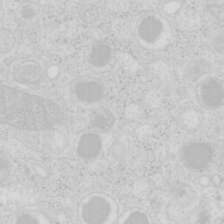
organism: Mouse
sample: Pancreas